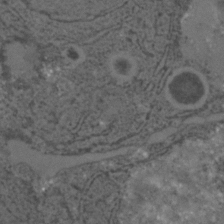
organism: C. elegans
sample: C. elegans embryo